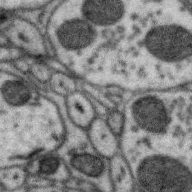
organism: Zebra finch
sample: Brain